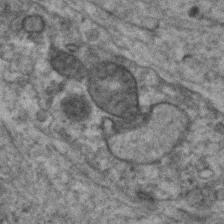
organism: Human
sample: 1205lu cells